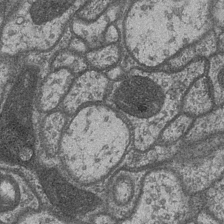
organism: Drosophila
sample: Optic medulla